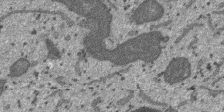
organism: Human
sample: Lung epithelial cells infected with SARS-CoV-2